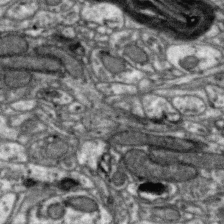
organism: Zebra finch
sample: Brain